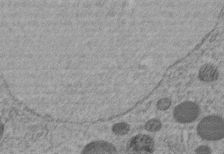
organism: C. elegans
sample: C. elegans embryo early stage